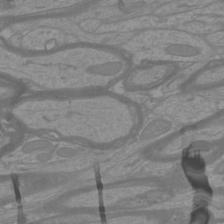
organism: Mouse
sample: Cortical neurons